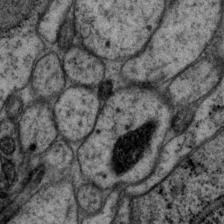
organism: P. pacificus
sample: Pharynx